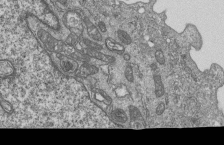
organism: Human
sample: MDA-MB-231 cells